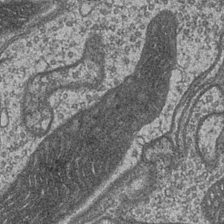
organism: Drosophila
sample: Optic medulla